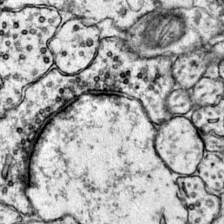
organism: Mouse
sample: Primary visual cortex